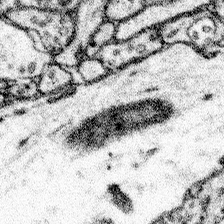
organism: Mouse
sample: Somatosensory cortex neuropil